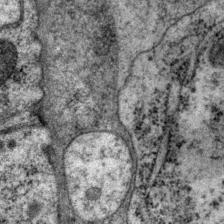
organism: P. pacificus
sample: Pharynx